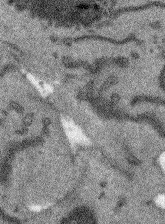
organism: Arabidopsis thaliana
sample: Root tip